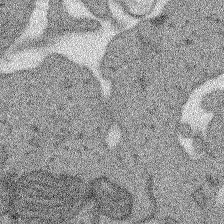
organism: Human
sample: HeLa cells